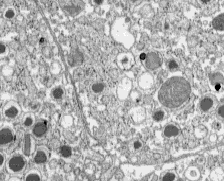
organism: C57BL Mouse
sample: Pancreatic islet